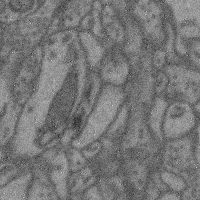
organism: Mouse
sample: Cerebral cortex